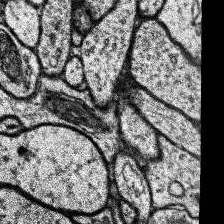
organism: Human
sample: Temporal Lobe